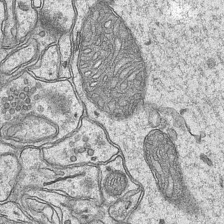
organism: Mouse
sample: CA1 Hippocampus